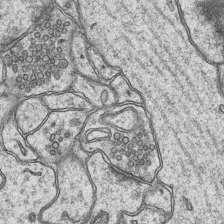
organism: Mouse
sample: CA1 Hippocampus